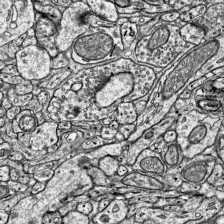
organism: Mouse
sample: Visual Cortex